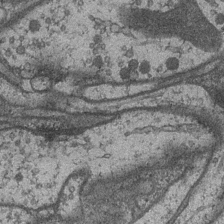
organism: Drosophila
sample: Optic medulla